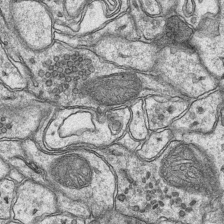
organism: Mouse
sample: CA1 Hippocampus